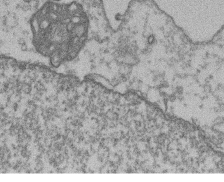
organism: Mouse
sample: T cell stromal cell synapse